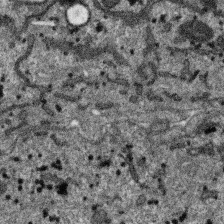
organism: Human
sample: Lung epithelial cells infected with SARS-CoV-2